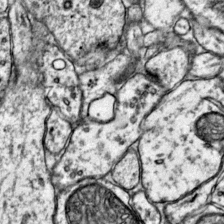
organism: Mouse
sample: Primary visual cortex